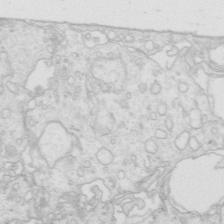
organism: Mouse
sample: Multiciliated cells